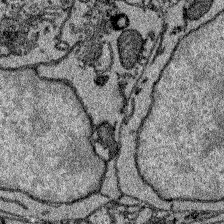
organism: Zebrafish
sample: Larval olfactory bulb